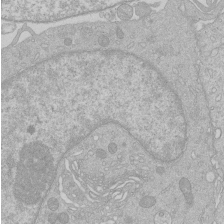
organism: Human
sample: Macrophage cells